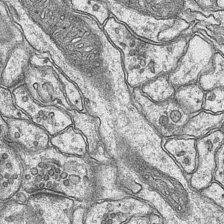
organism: Mouse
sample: CA1 Hippocampus